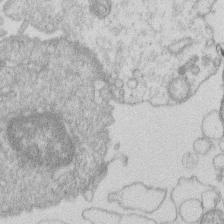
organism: Human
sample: Macrophage cells